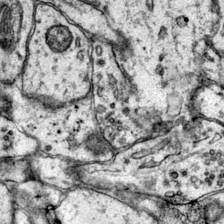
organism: Mouse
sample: Primary visual cortex